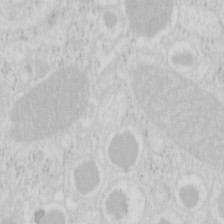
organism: Mouse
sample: Pancreas